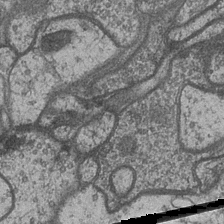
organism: Drosophila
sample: Optic medulla